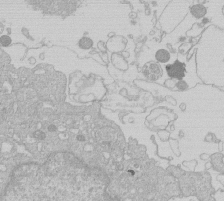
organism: Human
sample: Macrophage cells